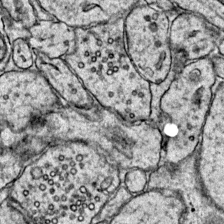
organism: Mouse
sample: Primary visual cortex